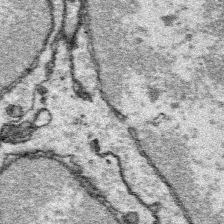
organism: Platynereis dumerilii